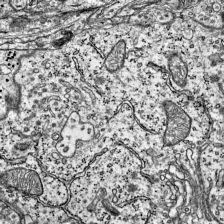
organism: Mouse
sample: Visual Cortex